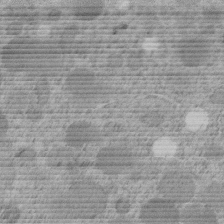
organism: C. elegans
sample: C. elegans embryo early stage